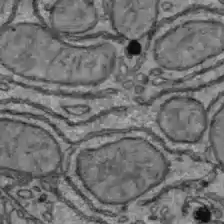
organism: C57BL Mouse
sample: Liver